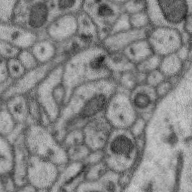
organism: Zebra finch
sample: Brain